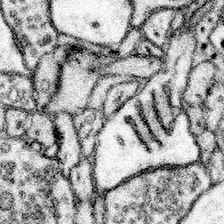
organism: Mouse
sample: Somatosensory cortex neuropil